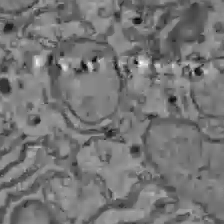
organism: C57BL Mouse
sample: Liver